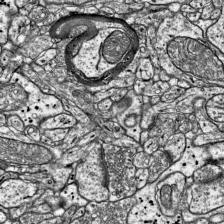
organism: Mouse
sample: Visual Cortex